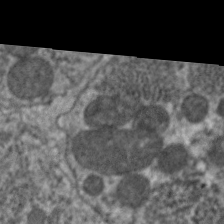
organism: C. elegans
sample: Pharynx